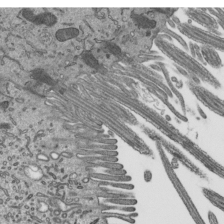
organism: Mouse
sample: Mouse epididymis efferent ductule cilia